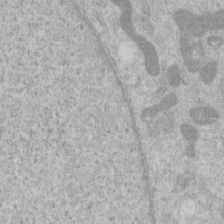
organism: Human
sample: Centriole in RPE cells